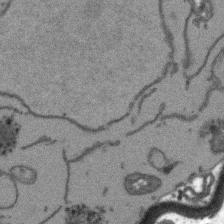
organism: Arabidopsis thaliana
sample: Root tip